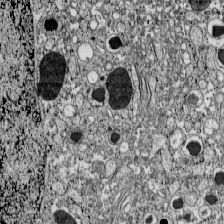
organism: C57BL Mouse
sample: Pancreatic islet